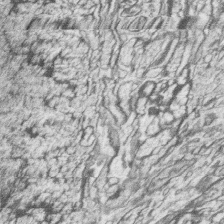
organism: Zebrafish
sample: synaptic ribbons in rod cells and cone cells